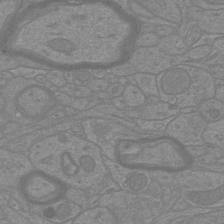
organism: Mouse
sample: Cortical neurons